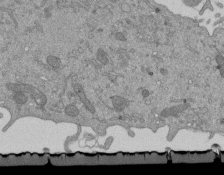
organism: Mouse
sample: ED-1 cell nuclei; centrioles